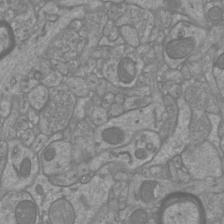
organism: Mouse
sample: Cortical neurons